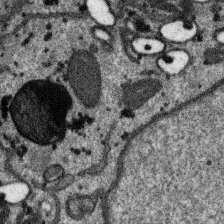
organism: Human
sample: Lung epithelial cells infected with SARS-CoV-2